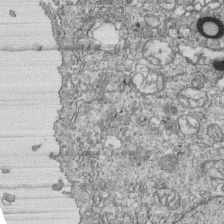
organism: Human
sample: HeLa cell HIV synapse